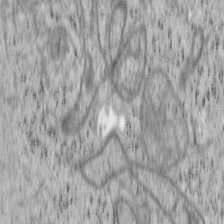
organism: Human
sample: HeLa cells